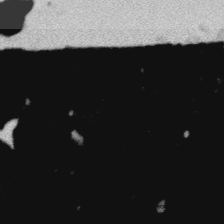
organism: Platynereis dumerilii